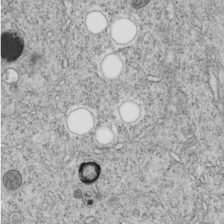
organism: C. elegans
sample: C. elegans embryo early stage